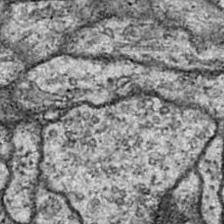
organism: Drosophila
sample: Ventral Nerve Cord